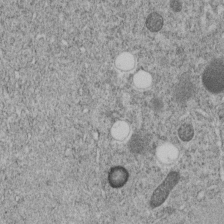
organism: C. elegans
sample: C. elegans embryo early stage